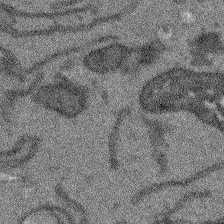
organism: Arabidopsis thaliana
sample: Root tip